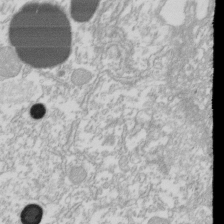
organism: Xenopus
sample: Cilia; centrioles in frog embryo cells